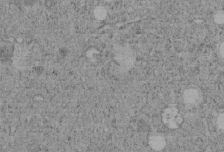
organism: C. elegans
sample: C. elegans embryo early stage